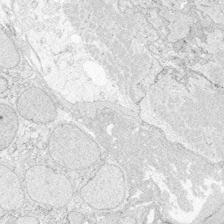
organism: Zebrafish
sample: Whole-Brain